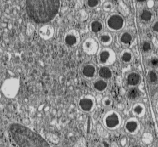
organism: C57BL Mouse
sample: Pancreatic islet